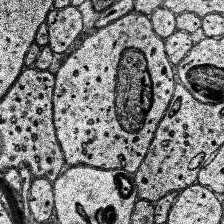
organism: Human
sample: Temporal Lobe